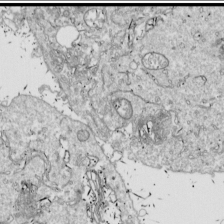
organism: Drosophila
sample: Cell division; meiosis; drosophila spermatocytes